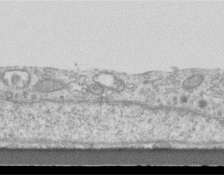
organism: Mouse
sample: Centriole in ependymal cells